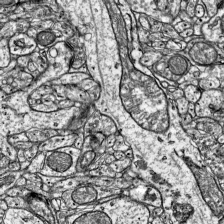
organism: Mouse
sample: Visual Cortex